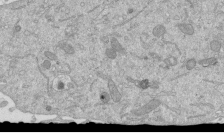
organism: Mouse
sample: ED-1 cell nuclei; centrioles